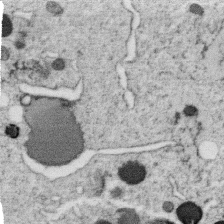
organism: C. elegans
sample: C. elegans oocyte; sperm cells